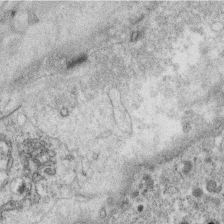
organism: C. elegans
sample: C. elegans oocyte; sperm cells